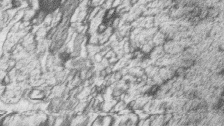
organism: Zebrafish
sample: synaptic ribbons in rod cells and cone cells